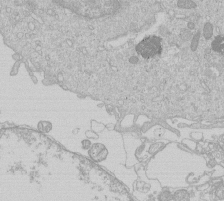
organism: Human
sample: Macrophage cells